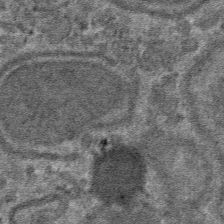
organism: Mouse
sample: Mouse hepatocytes